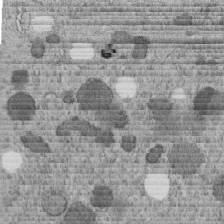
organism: C. elegans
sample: C. elegans embryo early stage